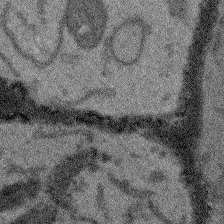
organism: Arabidopsis thaliana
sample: Root tip